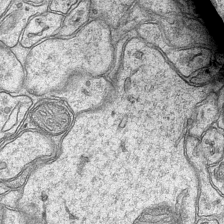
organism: Mouse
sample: CA1 Hippocampus